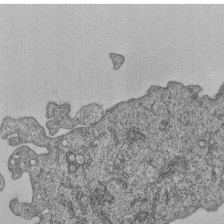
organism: Human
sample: MDA-MB-231 cells